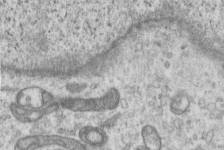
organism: Human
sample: Centriole in RPE cells